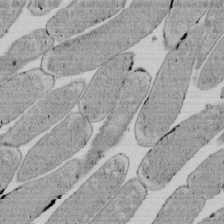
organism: E. coli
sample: Bacterial nucleoid